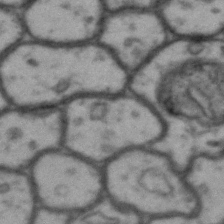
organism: Drosophila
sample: Brain